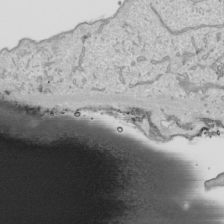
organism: Human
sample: Mitochondria in HCT116 cells